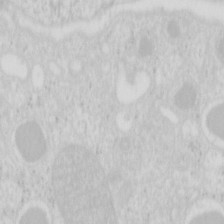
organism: Mouse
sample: Pancreas